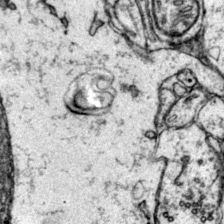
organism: Mouse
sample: Primary visual cortex